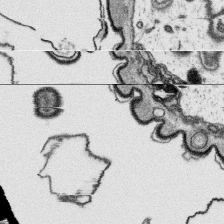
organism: Platynereis dumerilii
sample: Parapodia